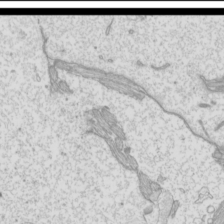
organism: Mouse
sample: Cilia; mouse epididymis